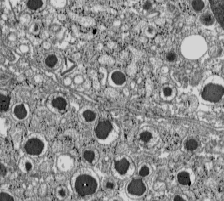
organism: C57BL Mouse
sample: Pancreatic islet